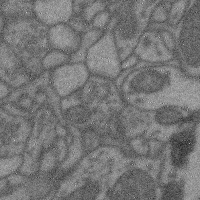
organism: Mouse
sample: Cerebral cortex